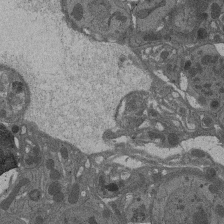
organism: Drosophila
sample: Antenna